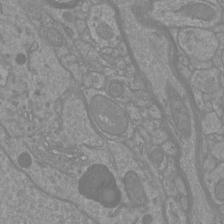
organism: Mouse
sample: Cortical neurons